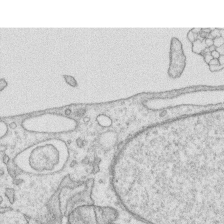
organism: Human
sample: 1205lu cells